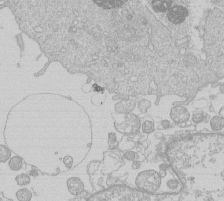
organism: Human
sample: Macrophage cells